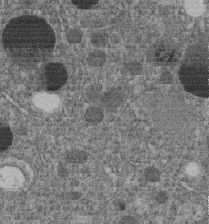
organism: C. elegans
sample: C. elegans embryo early stage